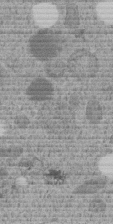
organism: C. elegans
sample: C. elegans embryo early stage